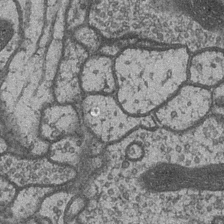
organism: Drosophila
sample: Optic medulla